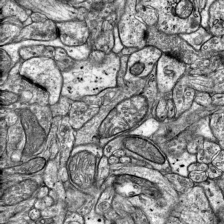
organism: Mouse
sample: Visual Cortex